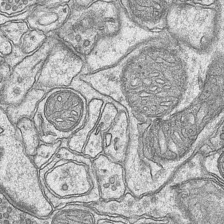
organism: Mouse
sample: CA1 Hippocampus